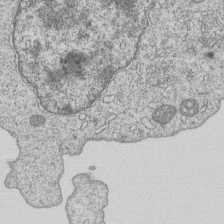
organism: Human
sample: MDA-MB-231 cells